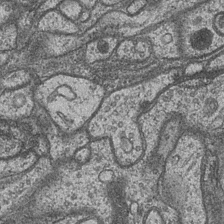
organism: Drosophila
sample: Optic medulla